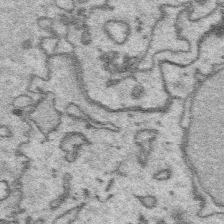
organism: Platynereis dumerilii